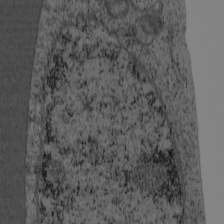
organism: African green monkey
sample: COS-7 cells